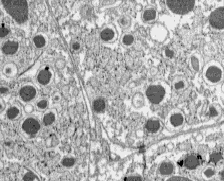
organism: C57BL Mouse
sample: Pancreatic islet